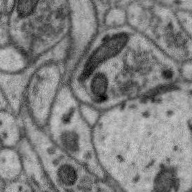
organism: Zebra finch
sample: Brain